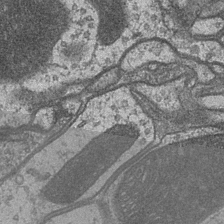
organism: Drosophila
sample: Optic medulla